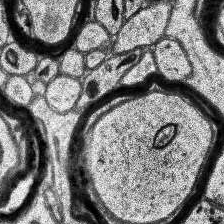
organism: Human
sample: Temporal Lobe